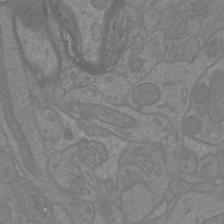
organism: Mouse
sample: Cortical neurons